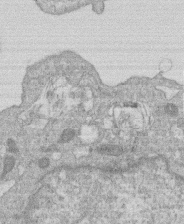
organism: Human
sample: Macrophage cells